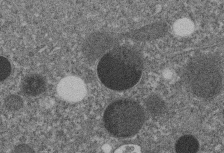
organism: C. elegans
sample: C. elegans embryo early stage